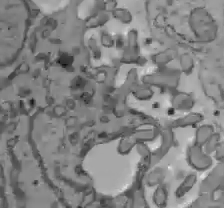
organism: C57BL Mouse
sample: Liver